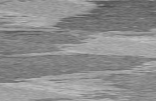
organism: C57BL Mouse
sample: Heart